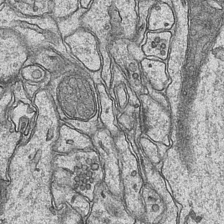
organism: Mouse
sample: CA1 Hippocampus